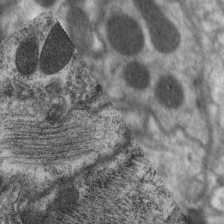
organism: C. elegans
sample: Pharynx